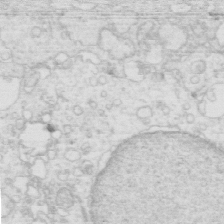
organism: Mouse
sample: Multiciliated cells